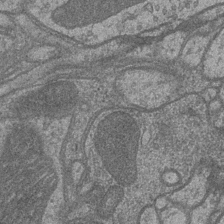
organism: Drosophila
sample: Optic medulla